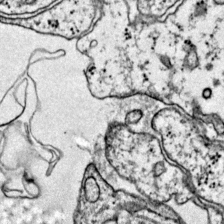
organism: Mouse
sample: Primary visual cortex